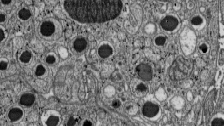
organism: C57BL Mouse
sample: Pancreatic islet